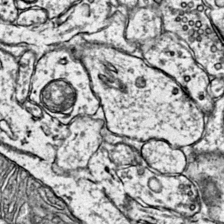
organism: Mouse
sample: Primary visual cortex